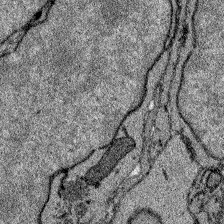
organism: Zebrafish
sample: Larval olfactory bulb